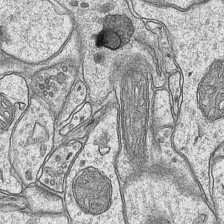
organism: Mouse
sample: CA1 Hippocampus